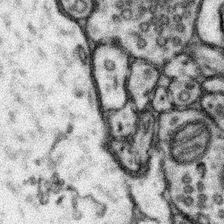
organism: Mouse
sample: Somatosensory cortex neuropil